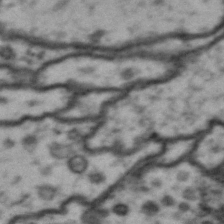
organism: Drosophila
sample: Brain